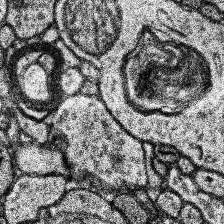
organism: Human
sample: Temporal Lobe